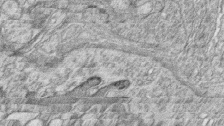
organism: Zebrafish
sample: synaptic ribbons in rod cells and cone cells